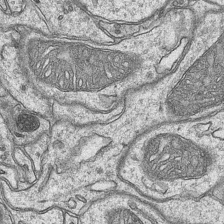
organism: Mouse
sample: CA1 Hippocampus